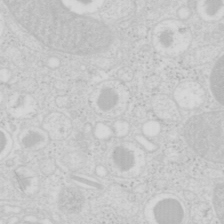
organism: Mouse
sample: Pancreas